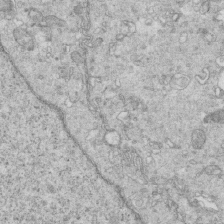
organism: Mouse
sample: Multiciliated cells